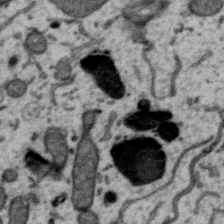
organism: Zebra finch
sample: Brain